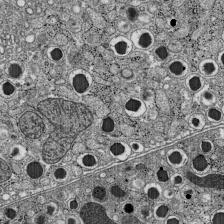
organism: C57BL Mouse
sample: Pancreatic islet